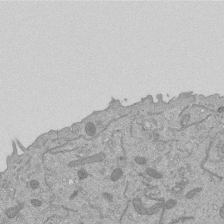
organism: Mouse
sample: ED-1 cell nuclei; centrioles